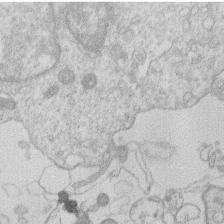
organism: Human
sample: Macrophage cells